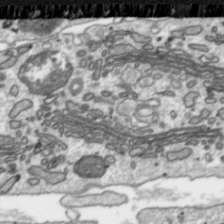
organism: Toxoplasma gondii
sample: Parasites in a vacuole inside a host cell